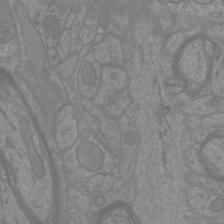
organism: Mouse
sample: Cortical neurons